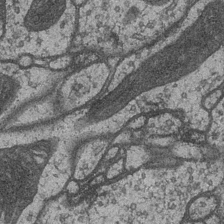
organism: Drosophila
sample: Optic medulla